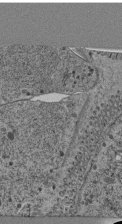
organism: C. elegans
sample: C. elegans pharynx